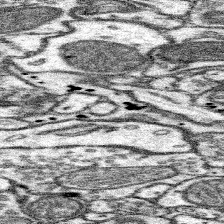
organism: Mouse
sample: Somatosensory cortex neuropil